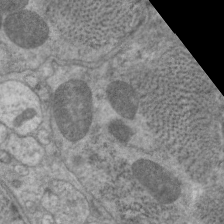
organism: C. elegans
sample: Pharynx